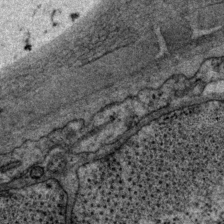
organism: P. pacificus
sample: Pharynx